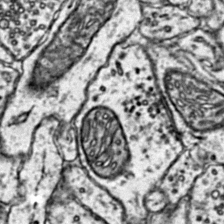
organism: Mouse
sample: Primary visual cortex